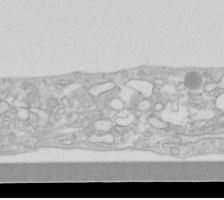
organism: Human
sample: Fibroblast cells